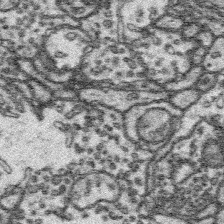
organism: Platynereis dumerilii